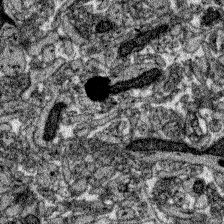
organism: Zebrafish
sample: Larval olfactory bulb